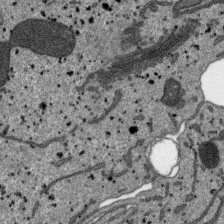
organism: Human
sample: Lung epithelial cells, uninfected (mock) control